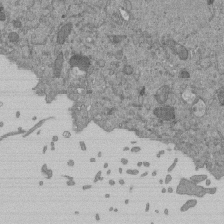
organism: Mouse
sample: ED-1 cell nuclei; centrioles